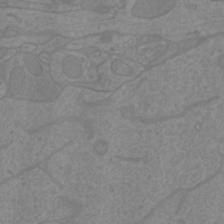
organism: Mouse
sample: Cortical neurons